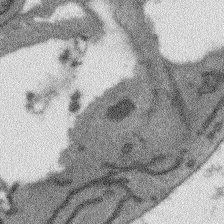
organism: Arabidopsis thaliana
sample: Root tip